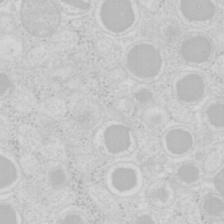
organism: Mouse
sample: Pancreas